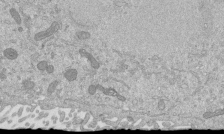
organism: Mouse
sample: ED-1 cell nuclei; centrioles